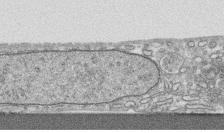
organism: Human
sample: CRL-1474